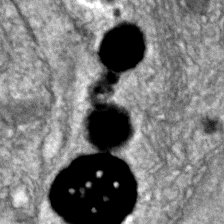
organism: Zebrafish